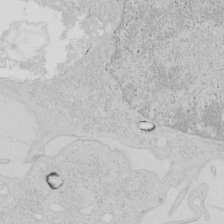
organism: Human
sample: Mitochondria in HCT116 cells